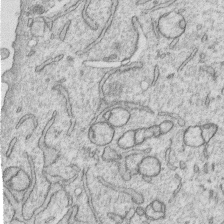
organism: Human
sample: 1205lu cells